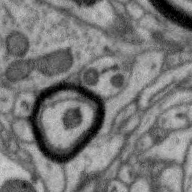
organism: Zebra finch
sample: Brain